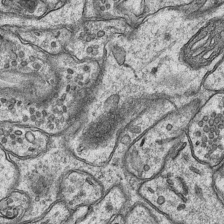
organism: Mouse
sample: CA1 Hippocampus